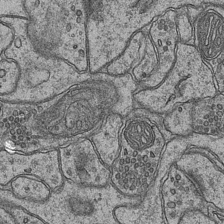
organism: Mouse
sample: CA1 Hippocampus